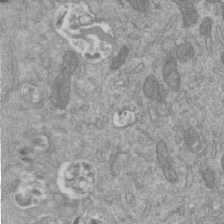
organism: Mouse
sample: ED-1 cell nuclei; centrioles